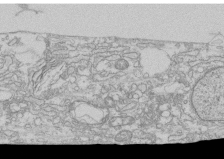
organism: Human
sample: CRL-1474